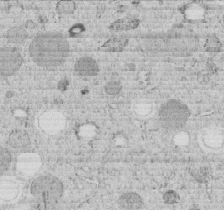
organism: C. elegans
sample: C. elegans embryo early stage